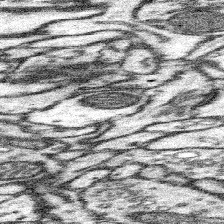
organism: Mouse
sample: Somatosensory cortex neuropil